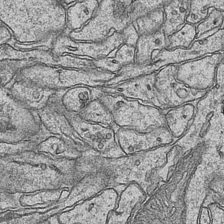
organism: Mouse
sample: CA1 Hippocampus